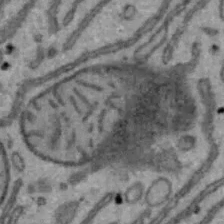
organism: Mouse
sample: Liver